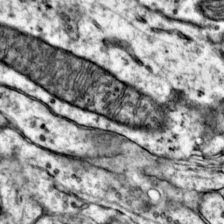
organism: Mouse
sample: Primary visual cortex